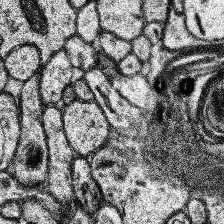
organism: Human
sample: Temporal Lobe